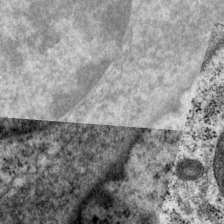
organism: P. pacificus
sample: Pharynx